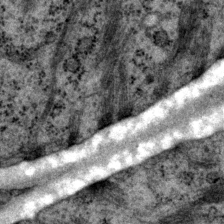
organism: P. pacificus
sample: Pharynx